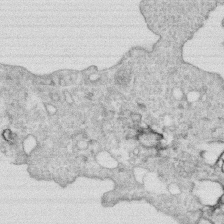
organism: Human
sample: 1205lu cells